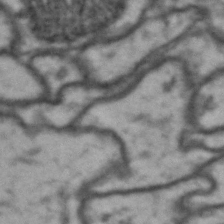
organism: Drosophila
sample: Brain